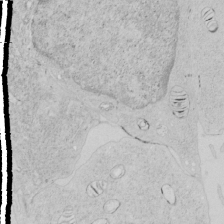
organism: Human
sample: Mitochondria in HCT116 cells